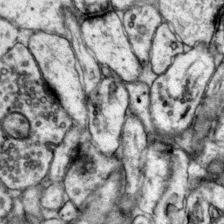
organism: Mouse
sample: Primary visual cortex